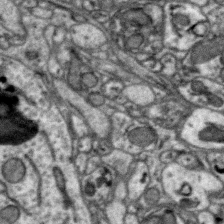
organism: Zebra finch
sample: Brain